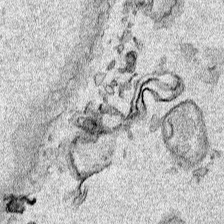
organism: Human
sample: Mitochondria in HCT116 cells